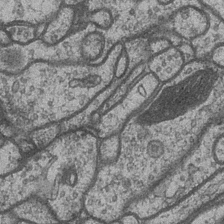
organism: Drosophila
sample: Optic medulla